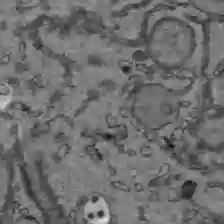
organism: C57BL Mouse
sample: Liver